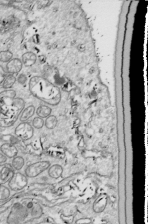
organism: Drosophila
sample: Cell division; meiosis; drosophila spermatocytes